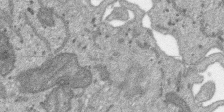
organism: Human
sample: Lung epithelial cells infected with SARS-CoV-2